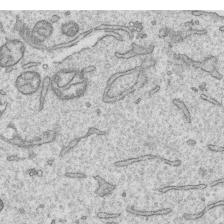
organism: Human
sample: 1205lu cells